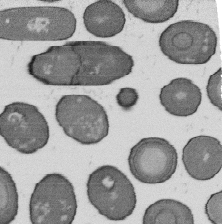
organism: B. subtilis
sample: Bacterial spore